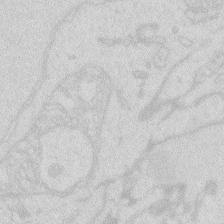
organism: Zebrafish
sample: Macrophage